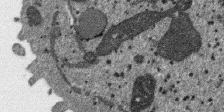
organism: Human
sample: Lung epithelial cells infected with SARS-CoV-2